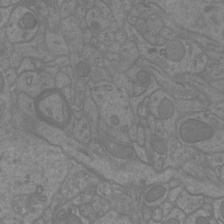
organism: Mouse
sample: Cortical neurons